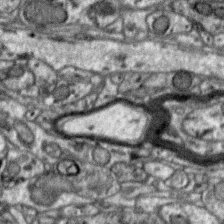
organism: Zebra finch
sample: Brain